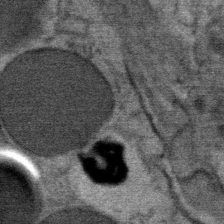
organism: Mouse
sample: Mouse Salivary gland